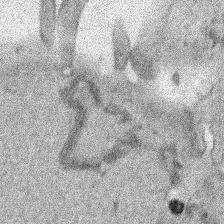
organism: Human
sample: Mitochondria in HCT116 cells